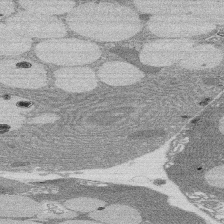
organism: Rat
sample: Salivary granule